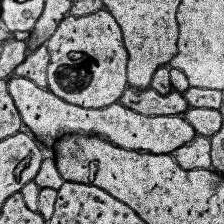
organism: Human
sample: Temporal Lobe